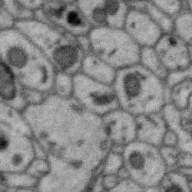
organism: Zebra finch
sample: Brain